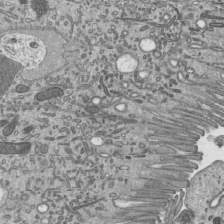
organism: Mouse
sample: Mouse epididymis efferent ductule cilia